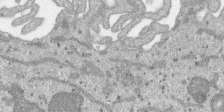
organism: Human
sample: Lung epithelial cells infected with SARS-CoV-2